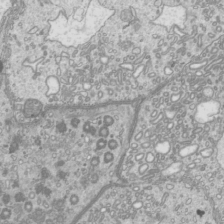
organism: Mouse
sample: Cilia; mouse epididymis